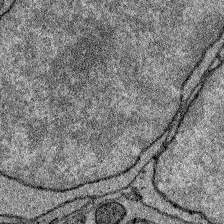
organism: Zebrafish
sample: Larval olfactory bulb